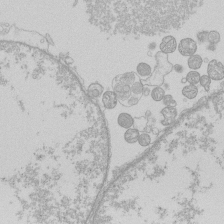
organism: Human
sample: Macrophage cells